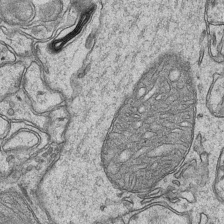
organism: Mouse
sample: CA1 Hippocampus